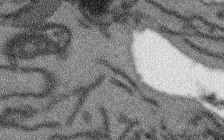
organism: Arabidopsis thaliana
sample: Root tip